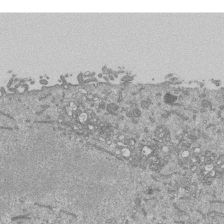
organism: Mouse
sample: ED-1 cell nuclei; centrioles